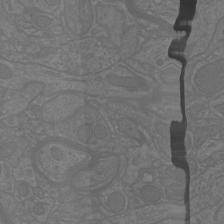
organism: Mouse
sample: Cortical neurons